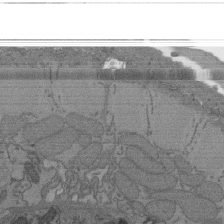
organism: C. elegans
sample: AFD neurons C. elegans